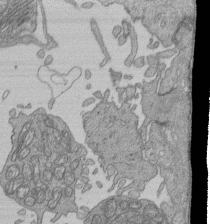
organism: Human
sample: Retinal organoid Rod and Cone cells